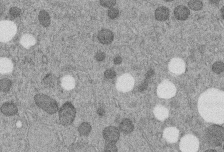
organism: C. elegans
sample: C. elegans embryo early stage